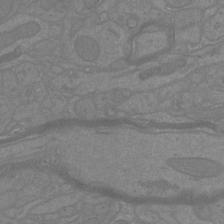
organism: Mouse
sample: Cortical neurons